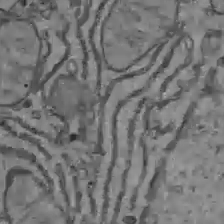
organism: C57BL Mouse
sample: Liver